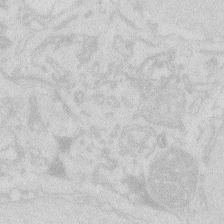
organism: Zebrafish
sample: Macrophage